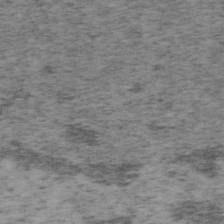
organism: Mouse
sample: OT-I killer T cells with ID8 ovarian cancer cells